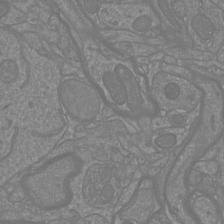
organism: Mouse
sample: Cortical neurons